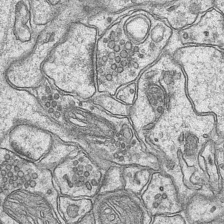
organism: Mouse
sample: CA1 Hippocampus